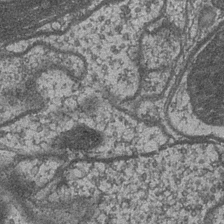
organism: Drosophila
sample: Optic medulla